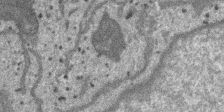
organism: Human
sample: Lung epithelial cells infected with SARS-CoV-2